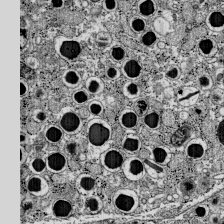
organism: C57BL Mouse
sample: Pancreatic islet